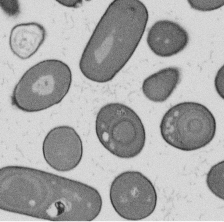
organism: B. subtilis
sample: Bacterial spore